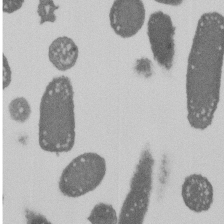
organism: E. coli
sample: Bacterial nucleoid